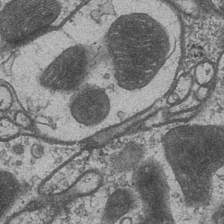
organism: Drosophila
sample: Optic medulla